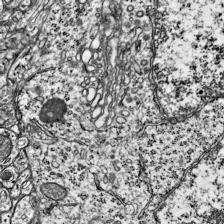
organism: Mouse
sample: Visual Cortex